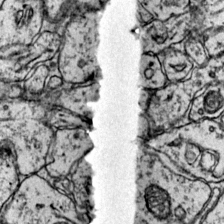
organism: Mouse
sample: Primary visual cortex